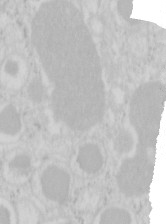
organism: Mouse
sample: Pancreas